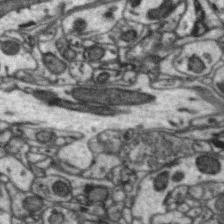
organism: Zebra finch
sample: Brain